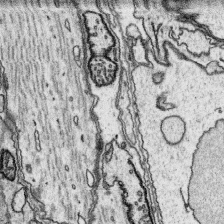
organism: Platynereis dumerilii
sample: Parapodia